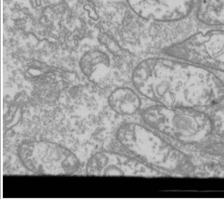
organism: Drosophila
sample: Cell division; meiosis; drosophila spermatocytes